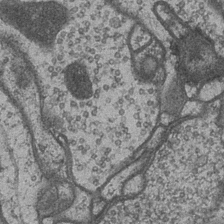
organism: Drosophila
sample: Optic medulla